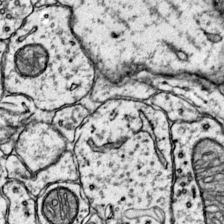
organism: Mouse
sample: Primary visual cortex